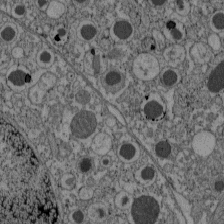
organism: C57BL Mouse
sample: Pancreatic islet